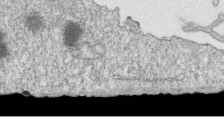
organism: Human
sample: HeLa cell HIV synapse